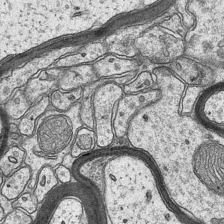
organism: Mouse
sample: CA1 Hippocampus